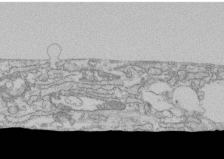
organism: Human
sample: CRL-1474